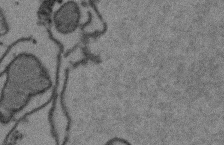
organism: Arabidopsis thaliana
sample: Root tip